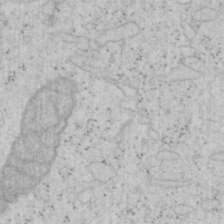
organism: Human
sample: HeLa cells